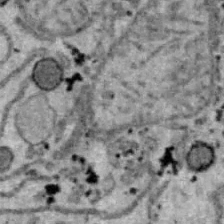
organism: Mouse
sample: Liver from an obese (ob/ob) mouse